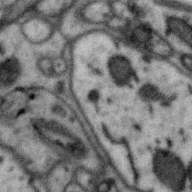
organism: Zebra finch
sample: Brain